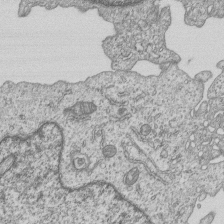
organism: Human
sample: MDA-MB-231 cells